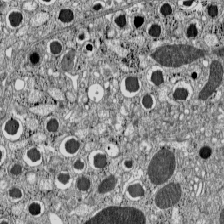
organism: C57BL Mouse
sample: Pancreatic islet